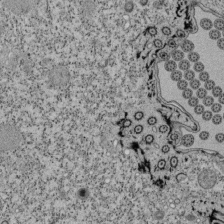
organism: Tetrahymena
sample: Cilia in tetrahymena